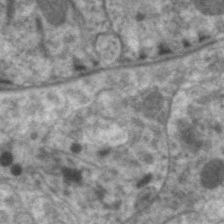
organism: C. elegans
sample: Pharynx